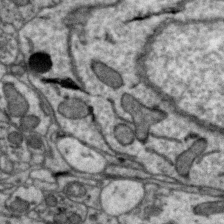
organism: Zebra finch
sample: Brain